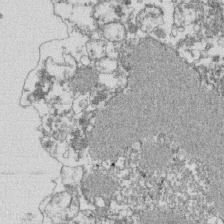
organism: Human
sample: HeLa cell HIV synapse